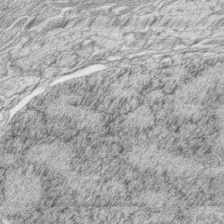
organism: Zebrafish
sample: synaptic ribbons in rod cells and cone cells